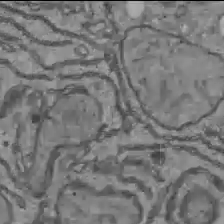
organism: C57BL Mouse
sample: Liver